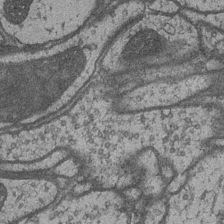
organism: Drosophila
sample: Optic medulla